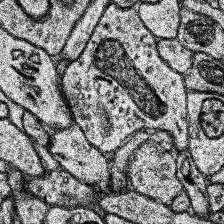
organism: Human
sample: Temporal Lobe